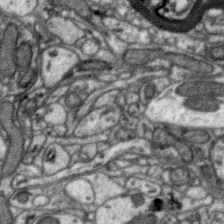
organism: Zebra finch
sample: Brain